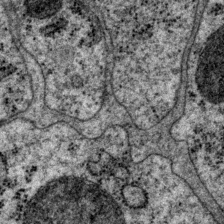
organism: P. pacificus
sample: Pharynx